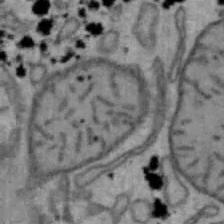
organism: Mouse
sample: Liver